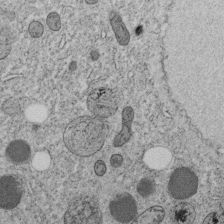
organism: C. elegans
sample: C. elegans embryo early stage